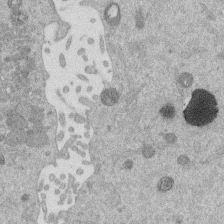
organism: Mouse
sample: Dividing mouse embryo 1 cell stage